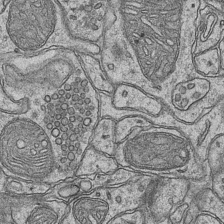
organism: Mouse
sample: CA1 Hippocampus